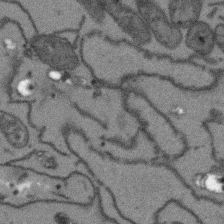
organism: Arabidopsis thaliana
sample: Root tip